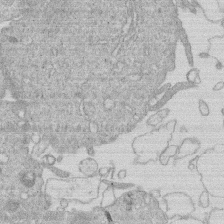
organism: Human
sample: Macrophage cells